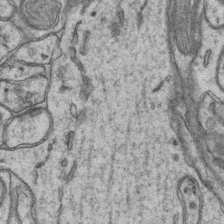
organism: Mouse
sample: CA1 Hippocampus